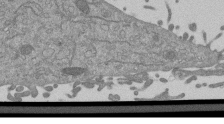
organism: Mouse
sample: ED-1 cell nuclei; centrioles